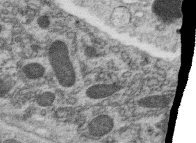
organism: C. elegans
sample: C. elegans oocyte; sperm cells